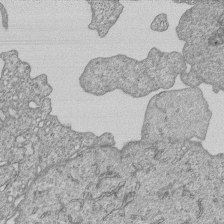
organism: Human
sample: MDA-MB-231 cells